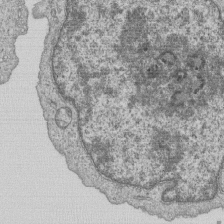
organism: Human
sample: MDA-MB-231 cells